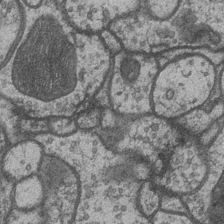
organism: Drosophila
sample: Optic medulla